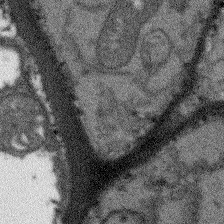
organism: Arabidopsis thaliana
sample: Root tip